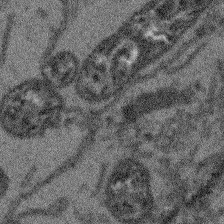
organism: Arabidopsis thaliana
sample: Root tip